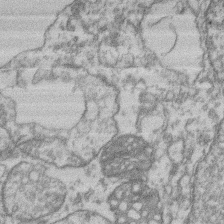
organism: Mouse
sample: T cell stromal cell synapse